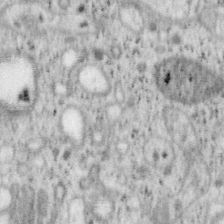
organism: Mouse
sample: OT-I killer T cells with ID8 ovarian cancer cells